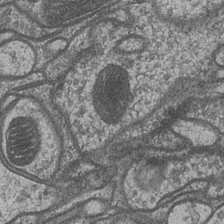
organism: Drosophila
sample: Optic medulla